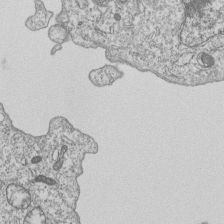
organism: Human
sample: MDA-MB-231 cells